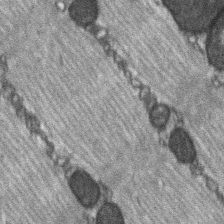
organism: C57BL Mouse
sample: Soleus